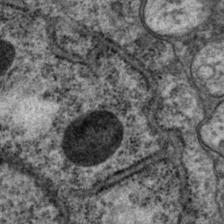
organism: P. pacificus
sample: Pharynx